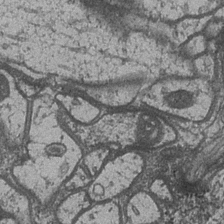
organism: Drosophila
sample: Optic medulla